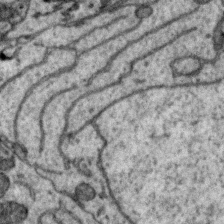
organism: Zebra finch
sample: Brain